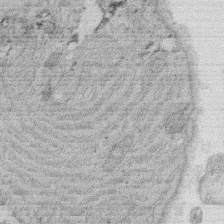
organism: Rat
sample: Salivary granule